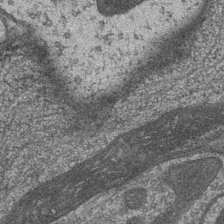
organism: Drosophila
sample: Optic medulla